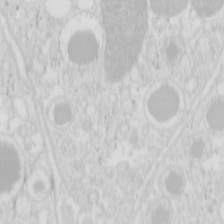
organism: Mouse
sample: Pancreas